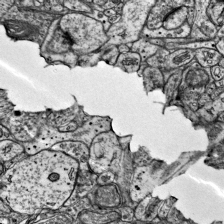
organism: Mouse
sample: Visual Cortex